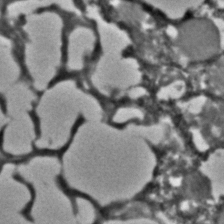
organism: C. elegans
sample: C. elegans embryo